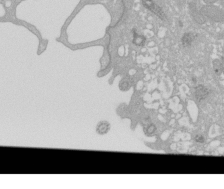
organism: Xenopus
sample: Cilia; centrioles in frog embryo cells